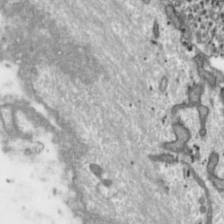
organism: Toxoplasma gondii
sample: Parasites in a vacuole inside a host cell